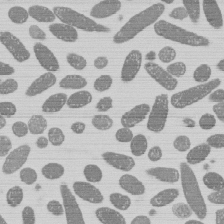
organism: E. coli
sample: Bacterial nucleoid